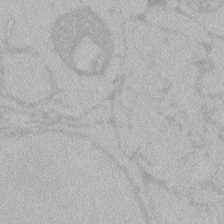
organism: Zebrafish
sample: Macrophage infected with Toxoplasma gondii